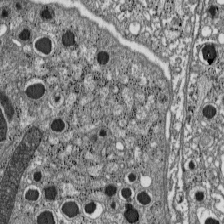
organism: C57BL Mouse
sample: Pancreatic islet